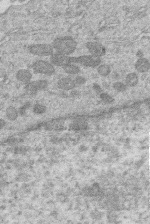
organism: Human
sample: Macrophage cells